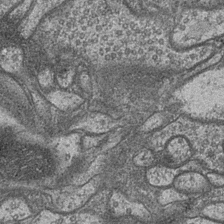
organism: Drosophila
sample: Optic medulla